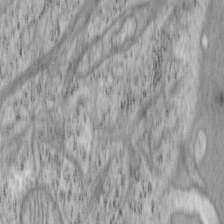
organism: Human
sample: HeLa cells